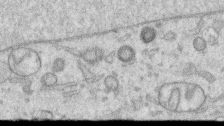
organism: Human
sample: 1205lu cells